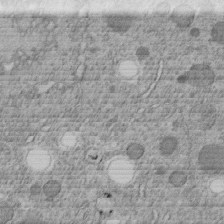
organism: C. elegans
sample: C. elegans embryo early stage